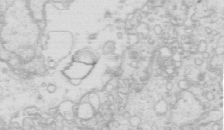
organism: Mouse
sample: Multiciliated cells